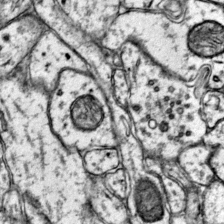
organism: Mouse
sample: Primary visual cortex